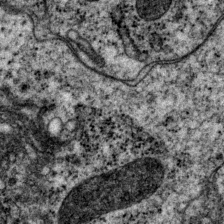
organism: P. pacificus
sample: Pharynx